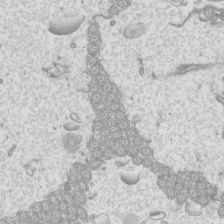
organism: Mouse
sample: Cilia; mouse epididymis